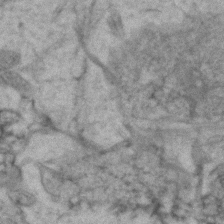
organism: Zebrafish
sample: Zebrafish embryo